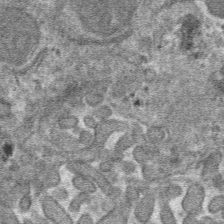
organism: Mouse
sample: Mouse hepatocytes